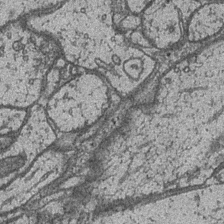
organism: Drosophila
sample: Optic medulla